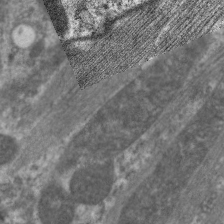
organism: C. elegans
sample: Pharynx